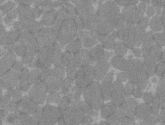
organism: C57BL Mouse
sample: Tibialis anterior muscle cell